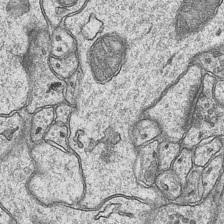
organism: Mouse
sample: CA1 Hippocampus